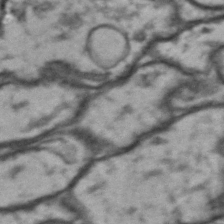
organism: Drosophila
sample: Brain